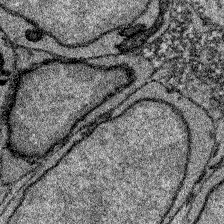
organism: Zebrafish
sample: Larval olfactory bulb